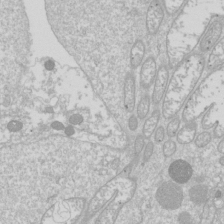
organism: Drosophila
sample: Cell division; meiosis; drosophila spermatocytes